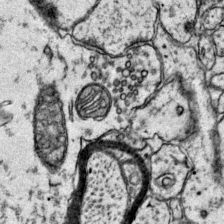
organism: Mouse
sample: Primary visual cortex